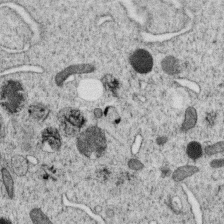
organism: C. elegans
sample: C. elegans oocyte; sperm cells